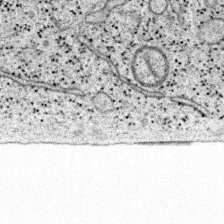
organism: Human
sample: HeLa cells